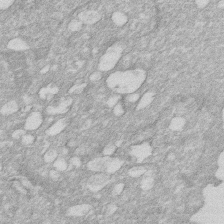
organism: Human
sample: HIV infected U937 cells